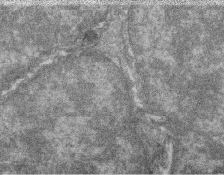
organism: Zebrafish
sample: Cilia; retinal pigment epithelium